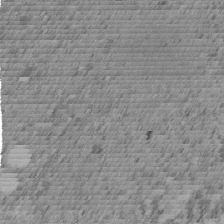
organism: C. elegans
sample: C. elegans embryo early stage